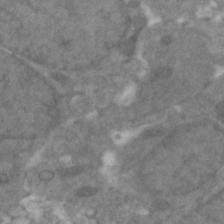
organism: Zebrafish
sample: Zebrafish embryo